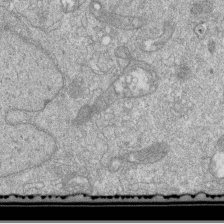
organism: Human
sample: HeLa cell HIV synapse